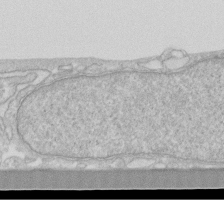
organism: Human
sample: Fibroblast cells